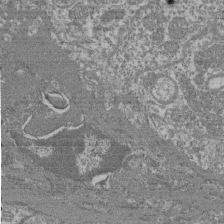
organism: Mouse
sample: Glomerulus